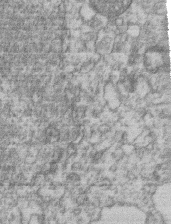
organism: Mouse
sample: T cell stromal cell synapse